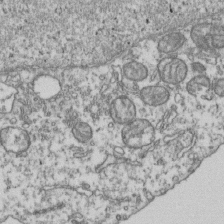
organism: Human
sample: Activated Jurkat CD4+ T cells